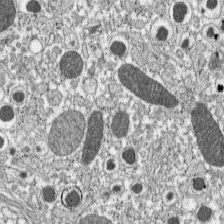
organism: C57BL Mouse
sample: Pancreatic islet